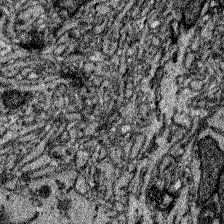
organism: Zebrafish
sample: Larval olfactory bulb